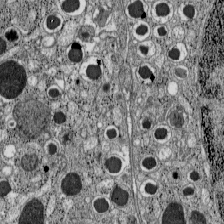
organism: C57BL Mouse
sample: Pancreatic islet